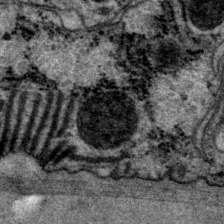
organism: P. pacificus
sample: Pharynx